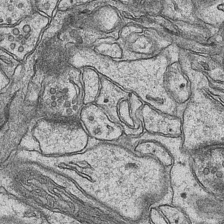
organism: Mouse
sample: CA1 Hippocampus